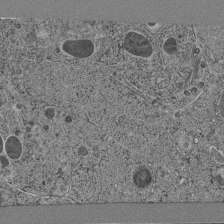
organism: C. elegans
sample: C. elegans pharynx